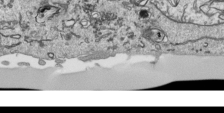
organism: Human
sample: Mitochondria in HCT116 cells